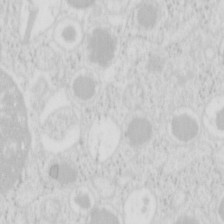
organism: Mouse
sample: Pancreas